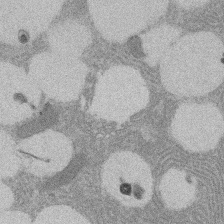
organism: Rat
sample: Salivary granule